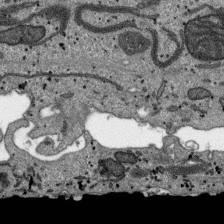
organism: Human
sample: Lung epithelial cells, uninfected (mock) control